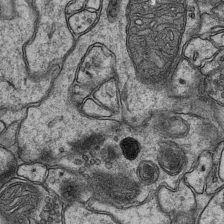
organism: Mouse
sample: CA1 Hippocampus